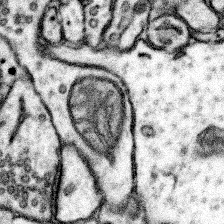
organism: Mouse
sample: Somatosensory cortex neuropil